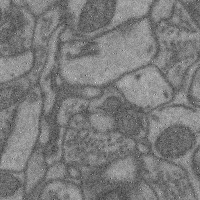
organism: Mouse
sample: Cerebral cortex